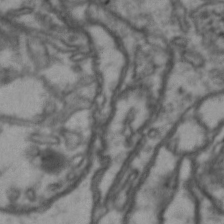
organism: Drosophila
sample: Brain